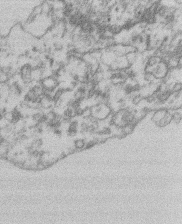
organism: Mouse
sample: T cell stromal cell synapse